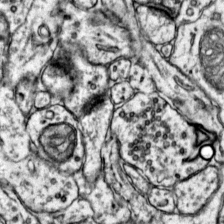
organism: Mouse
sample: Primary visual cortex